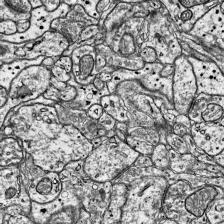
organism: Mouse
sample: Visual Cortex